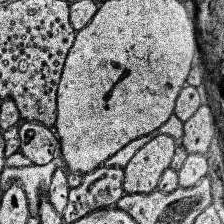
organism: Human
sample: Temporal Lobe